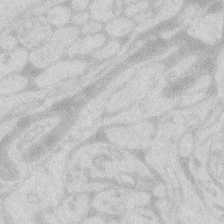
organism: Zebrafish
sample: Macrophage